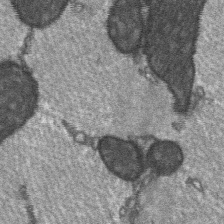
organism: C57BL Mouse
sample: Soleus